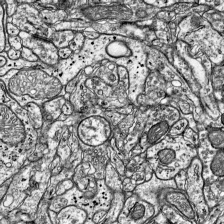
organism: Mouse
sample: Visual Cortex